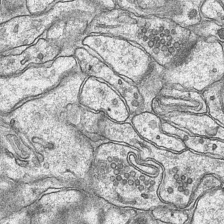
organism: Mouse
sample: CA1 Hippocampus